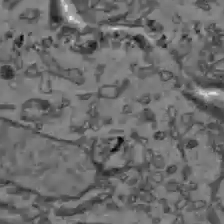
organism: C57BL Mouse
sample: Liver